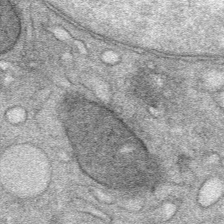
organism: Mouse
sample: Mouse Salivary gland